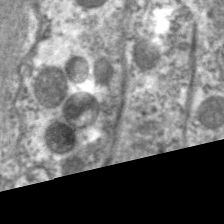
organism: C. elegans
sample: Pharynx